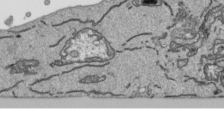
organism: Human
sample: Mitochondria in HCT116 cells